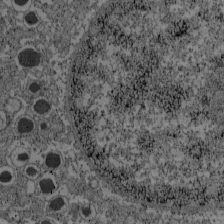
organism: C57BL Mouse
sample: Pancreatic islet